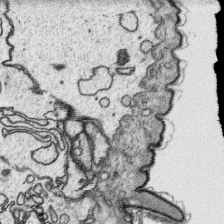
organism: Platynereis dumerilii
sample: Parapodia